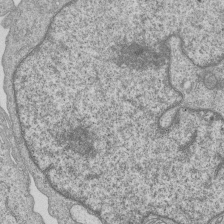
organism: Human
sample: MDA-MB-231 cells